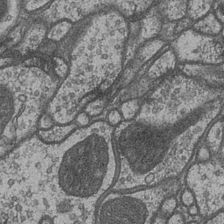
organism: Drosophila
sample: Optic medulla